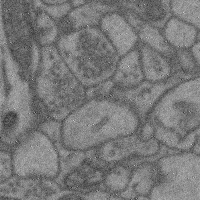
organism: Mouse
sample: Cerebral cortex